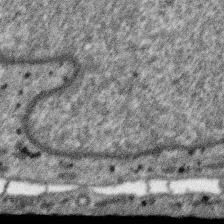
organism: Human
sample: Lung epithelial cells infected with SARS-CoV-2